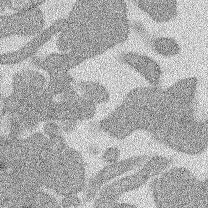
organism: Human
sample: HeLa cells